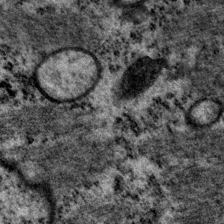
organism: P. pacificus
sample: Pharynx